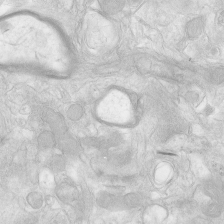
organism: Human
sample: Neocortex